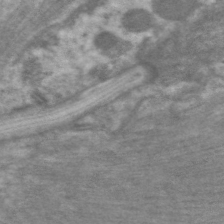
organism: C. elegans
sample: Pharynx